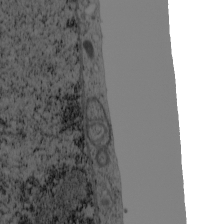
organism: African green monkey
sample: COS-7 cells